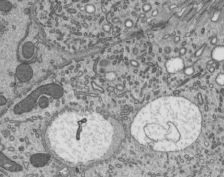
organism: Mouse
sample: Mouse epididymis efferent ductule cilia